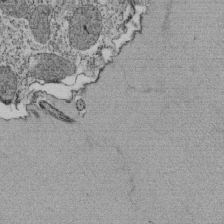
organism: Tetrahymena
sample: Cilia in tetrahymena